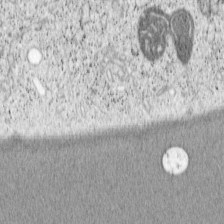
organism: African green monkey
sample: COS-7 cells